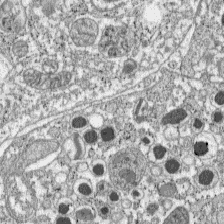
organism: C57BL Mouse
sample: Pancreatic islet